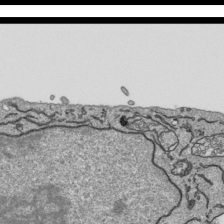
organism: Human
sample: Mitochondria in HCT116 cells